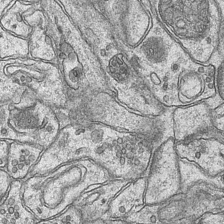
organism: Mouse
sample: CA1 Hippocampus